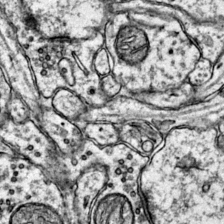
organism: Mouse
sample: Primary visual cortex